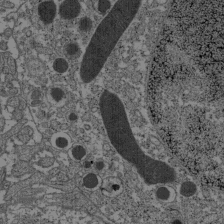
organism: C57BL Mouse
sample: Pancreatic islet